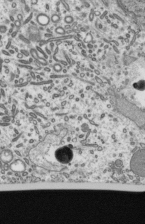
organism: Mouse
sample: Mouse epididymis efferent ductule cilia